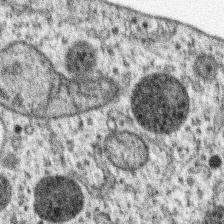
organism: Human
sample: HeLa cells